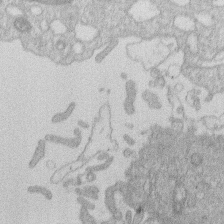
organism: Human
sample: Macrophage cells